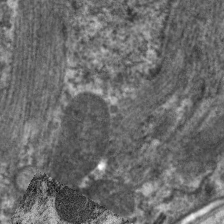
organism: C. elegans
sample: Pharynx